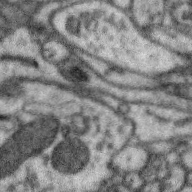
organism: Zebra finch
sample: Brain